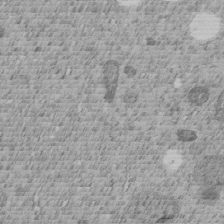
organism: C. elegans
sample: C. elegans embryo early stage